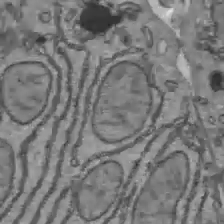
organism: C57BL Mouse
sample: Liver